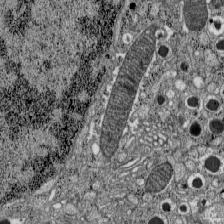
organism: C57BL Mouse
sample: Pancreatic islet